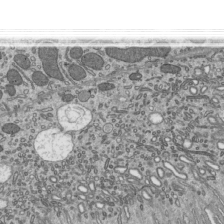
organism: Mouse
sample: Mouse epididymis efferent ductule cilia